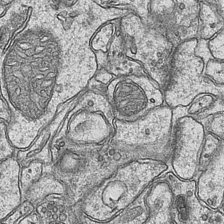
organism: Mouse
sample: CA1 Hippocampus